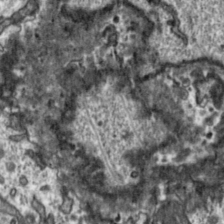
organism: Toxoplasma gondii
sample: Parasites in a vacuole inside a host cell